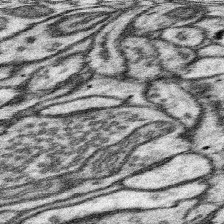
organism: Mouse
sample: Somatosensory cortex neuropil